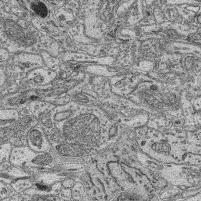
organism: Mouse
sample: Retina